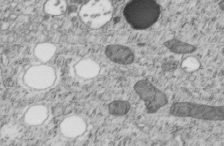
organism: C. elegans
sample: C. elegans embryo early stage